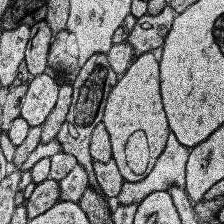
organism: Human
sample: Temporal Lobe